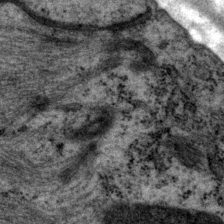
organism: P. pacificus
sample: Pharynx